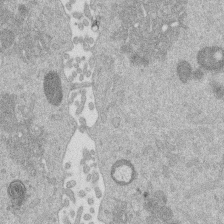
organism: Mouse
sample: Dividing mouse embryo 1 cell stage